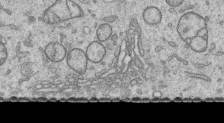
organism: Human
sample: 1205lu cells